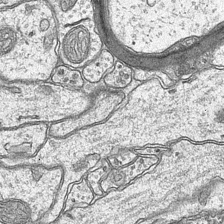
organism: Mouse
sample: CA1 Hippocampus